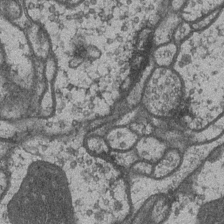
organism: Drosophila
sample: Optic medulla